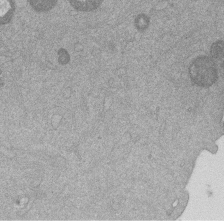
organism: Mouse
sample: Dividing mouse embryo 1 cell stage